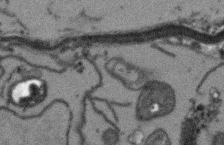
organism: Arabidopsis thaliana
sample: Root tip